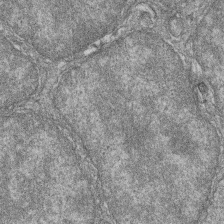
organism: Zebrafish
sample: Cilia; retinal pigment epithelium